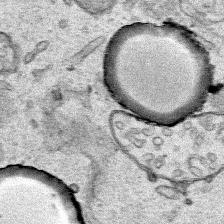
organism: Human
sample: Mitochondria in HCT116 cells